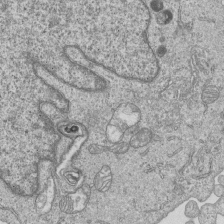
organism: Human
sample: MDA-MB-231 cells